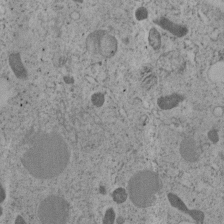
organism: C. elegans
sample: C. elegans embryo early stage